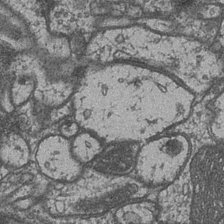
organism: Drosophila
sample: Optic medulla